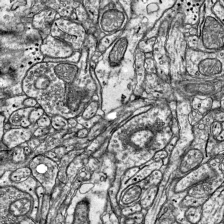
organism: Mouse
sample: Visual Cortex